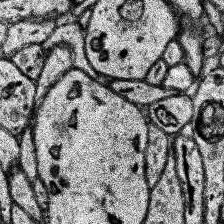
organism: Human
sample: Temporal Lobe